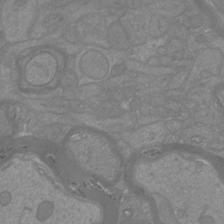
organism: Mouse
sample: Cortical neurons